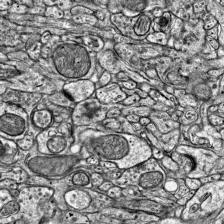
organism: Mouse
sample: Visual Cortex